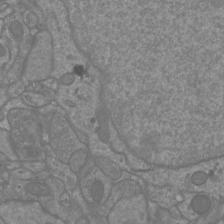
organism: Mouse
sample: Cortical neurons